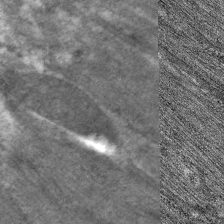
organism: C. elegans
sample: Pharynx